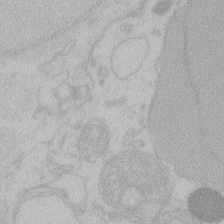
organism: Zebrafish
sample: Macrophage infected with Toxoplasma gondii